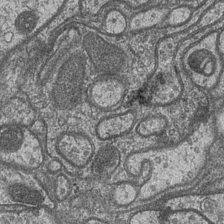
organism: Drosophila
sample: Optic medulla